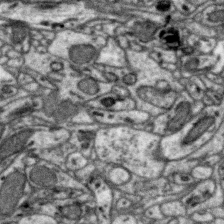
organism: Zebra finch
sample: Brain